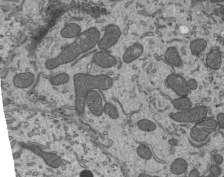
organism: Mouse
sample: Mouse epididymis efferent ductule cilia